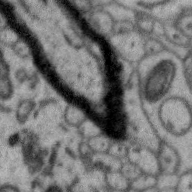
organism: Zebra finch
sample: Brain